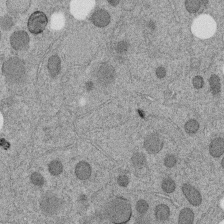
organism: C. elegans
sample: C. elegans embryo early stage